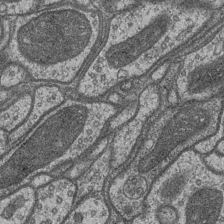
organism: Drosophila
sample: Optic medulla